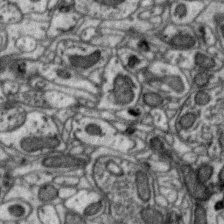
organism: Zebra finch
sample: Brain